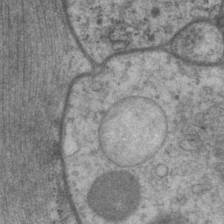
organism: P. pacificus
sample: Pharynx